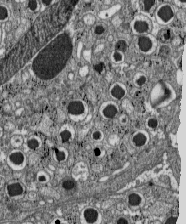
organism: C57BL Mouse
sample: Pancreatic islet